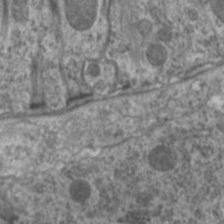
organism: C. elegans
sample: Pharynx